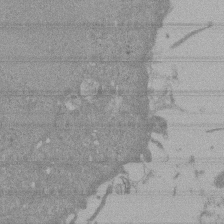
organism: Mouse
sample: ED-1 cell nuclei; centrioles